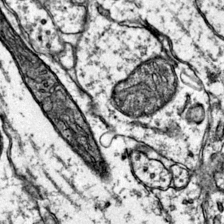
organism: Mouse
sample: Primary visual cortex